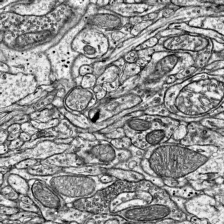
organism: Mouse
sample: Visual Cortex